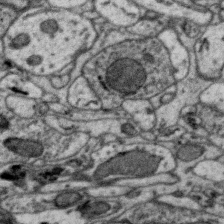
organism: Zebra finch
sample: Brain